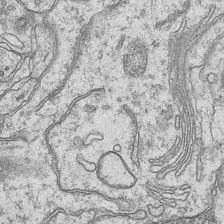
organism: Mouse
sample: CA1 Hippocampus